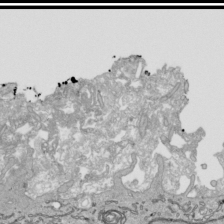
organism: Human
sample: Mitochondria in HCT116 cells